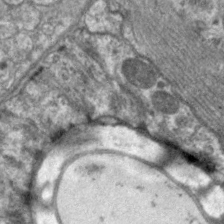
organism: C. elegans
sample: Pharynx